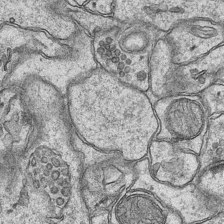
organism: Mouse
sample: CA1 Hippocampus